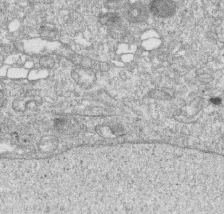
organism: Human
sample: HeLa cell HIV synapse